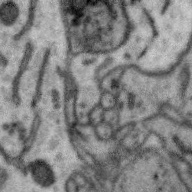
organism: Zebra finch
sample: Brain